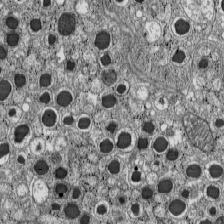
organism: C57BL Mouse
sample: Pancreatic islet